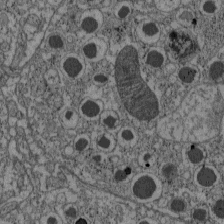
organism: C57BL Mouse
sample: Pancreatic islet